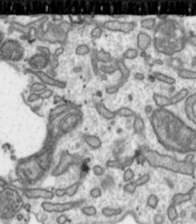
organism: Toxoplasma gondii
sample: Parasites in a vacuole inside a host cell